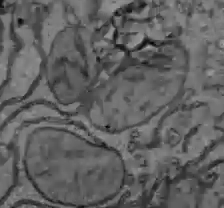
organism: C57BL Mouse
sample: Liver